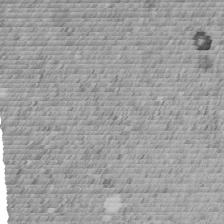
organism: C. elegans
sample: C. elegans embryo early stage